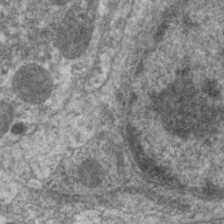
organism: C. elegans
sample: Pharynx